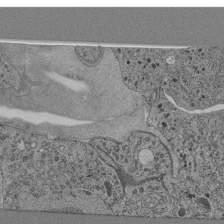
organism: C. elegans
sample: C. elegans pharynx